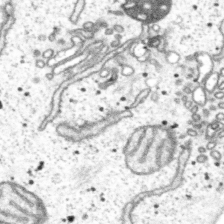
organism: Human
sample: HeLa cells